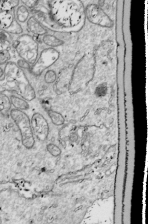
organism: Drosophila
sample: Cell division; meiosis; drosophila spermatocytes